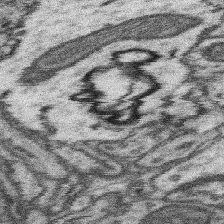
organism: Mouse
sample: Somatosensory cortex neuropil